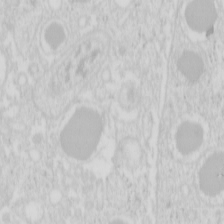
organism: Mouse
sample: Pancreas